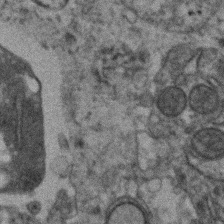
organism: Human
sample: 1205lu cells